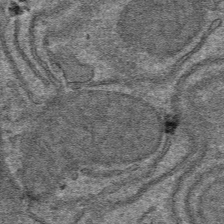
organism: Mouse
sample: Mouse hepatocytes